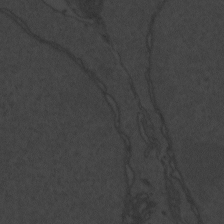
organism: Zebrafish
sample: Macrophage infected with Toxoplasma gondii